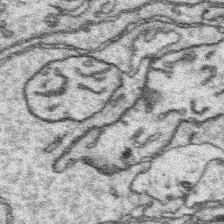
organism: Platynereis dumerilii